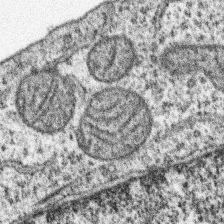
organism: Human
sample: HeLa cells